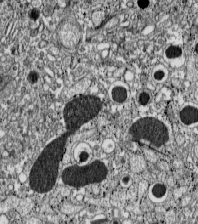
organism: C57BL Mouse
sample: Pancreatic islet